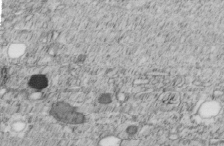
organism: C. elegans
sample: C. elegans embryo early stage